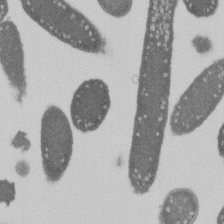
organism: E. coli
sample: Bacterial nucleoid